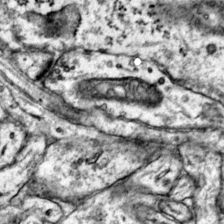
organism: Mouse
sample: Primary visual cortex